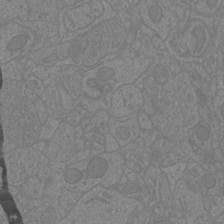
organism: Mouse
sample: Cortical neurons